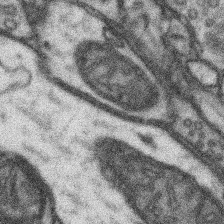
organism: Mouse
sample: Somatosensory cortex neuropil